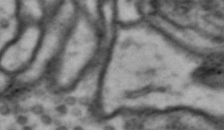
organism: Drosophila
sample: Brain